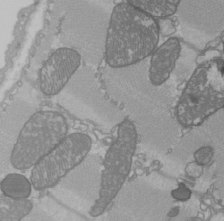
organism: C57BL Mouse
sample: Heart